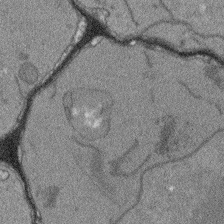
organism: Arabidopsis thaliana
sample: Root tip